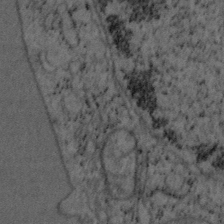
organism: Human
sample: HeLa cells